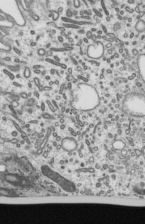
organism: Mouse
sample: Mouse epididymis efferent ductule cilia